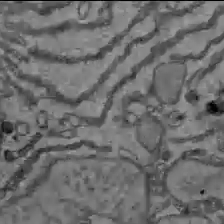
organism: C57BL Mouse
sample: Liver